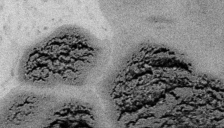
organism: Embia sp.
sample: Silk gland